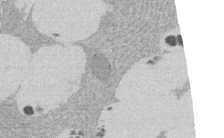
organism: Rat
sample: Salivary granule